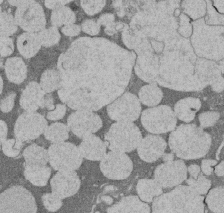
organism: Rat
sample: Salivary granule